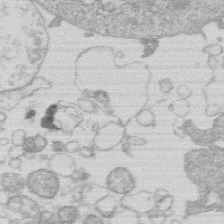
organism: Human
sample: Macrophage cells